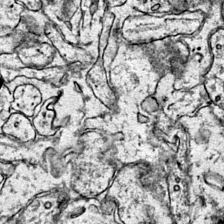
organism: Mouse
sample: Primary visual cortex